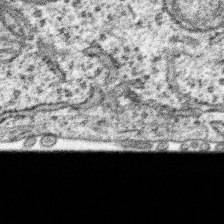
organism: Human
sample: HeLa cells